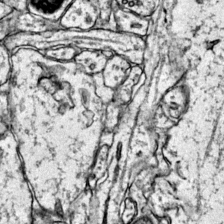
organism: Mouse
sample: Primary visual cortex